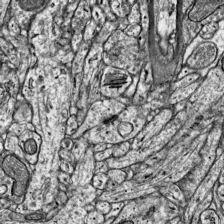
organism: Mouse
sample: Visual Cortex